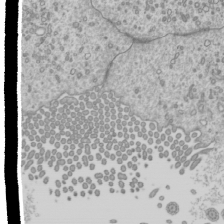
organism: Mouse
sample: Cilia; mouse epididymis